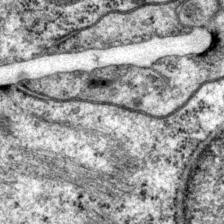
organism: P. pacificus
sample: Pharynx